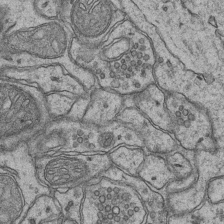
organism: Mouse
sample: CA1 Hippocampus